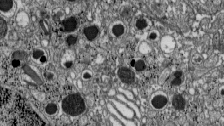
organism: C57BL Mouse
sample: Pancreatic islet